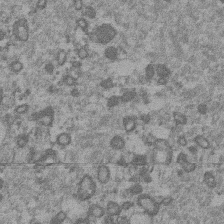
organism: Mouse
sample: Dividing mouse embryo 1 cell stage